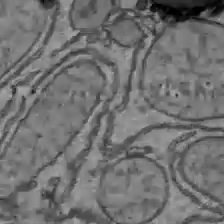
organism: C57BL Mouse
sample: Liver